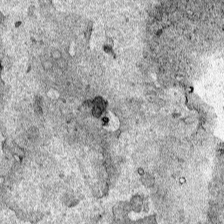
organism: Human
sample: Mitochondria in HCT116 cells